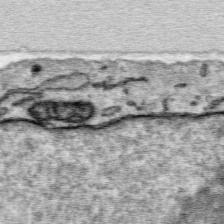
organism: Human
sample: HeLa cells